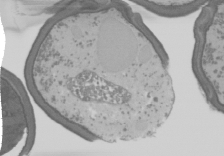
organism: S. cerevisiae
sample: Yeast cells